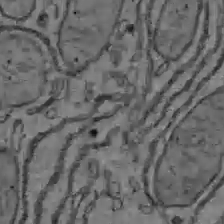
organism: C57BL Mouse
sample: Liver